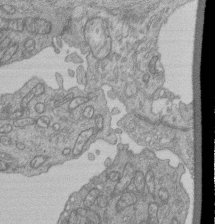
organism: Human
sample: Retinal organoid Rod and Cone cells